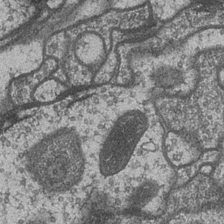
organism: Drosophila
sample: Optic medulla